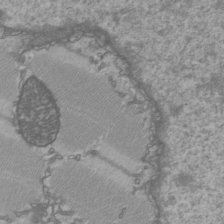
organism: C57BL Mouse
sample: Heart